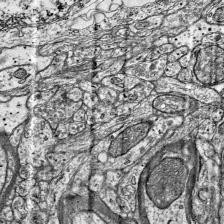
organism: Mouse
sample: Visual Cortex